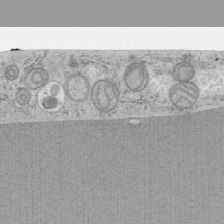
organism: Human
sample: HeLa cells